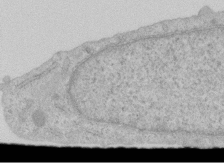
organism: Human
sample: Centriole in RPE cells